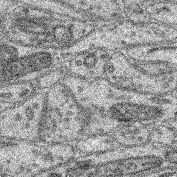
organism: Mouse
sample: Retina